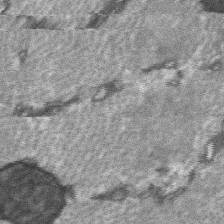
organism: C57BL Mouse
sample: Soleus